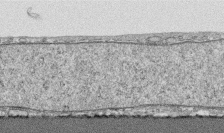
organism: Human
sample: CRL-1474